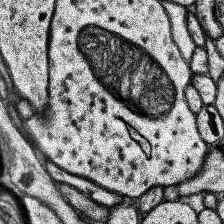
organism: Human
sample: Temporal Lobe